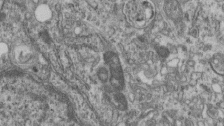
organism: Mouse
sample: Centriole in ependymal cells